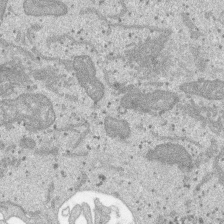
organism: Human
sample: Lung epithelial cells infected with SARS-CoV-2